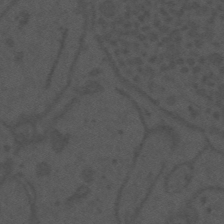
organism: Mouse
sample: Suprachiasmatic nucleus